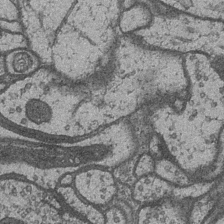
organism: Drosophila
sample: Optic medulla